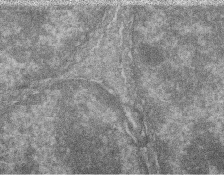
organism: Zebrafish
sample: Cilia; retinal pigment epithelium